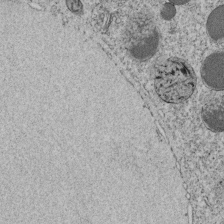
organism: C. elegans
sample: C. elegans embryo early stage